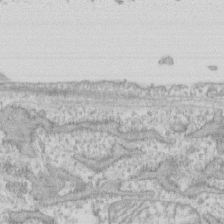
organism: Human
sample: CRL-1474